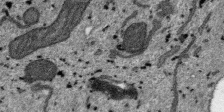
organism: Human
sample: Lung epithelial cells, uninfected (mock) control